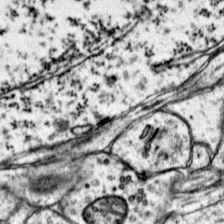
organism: Mouse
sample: Primary visual cortex